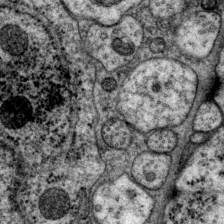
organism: P. pacificus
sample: Pharynx